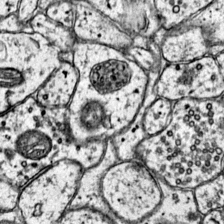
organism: Mouse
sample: Primary visual cortex